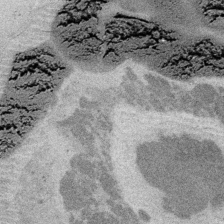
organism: Embia sp.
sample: Silk gland